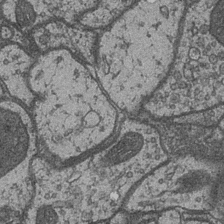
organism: Drosophila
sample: Optic medulla